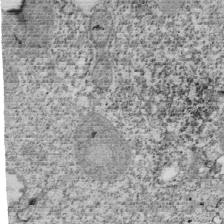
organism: Tetrahymena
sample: Cilia in tetrahymena